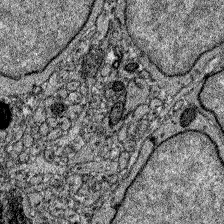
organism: Zebrafish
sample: Larval olfactory bulb